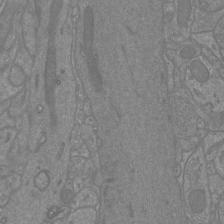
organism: Mouse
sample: Cortical neurons